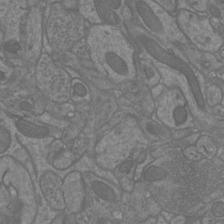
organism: Mouse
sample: Cortical neurons